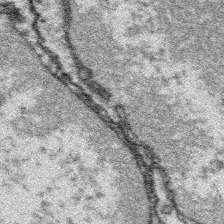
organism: Platynereis dumerilii